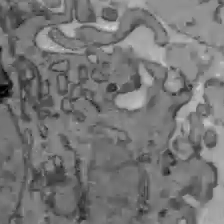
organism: C57BL Mouse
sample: Liver